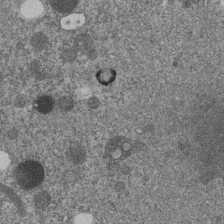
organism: C. elegans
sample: C. elegans embryo early stage